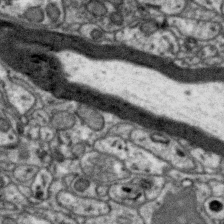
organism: Zebra finch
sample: Brain